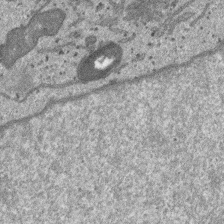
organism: Human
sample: Lung epithelial cells infected with SARS-CoV-2